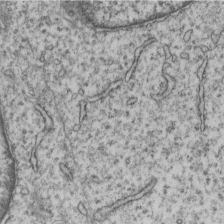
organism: Human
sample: MDA-MB-231 cells